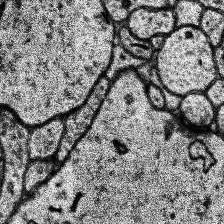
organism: Human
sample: Temporal Lobe